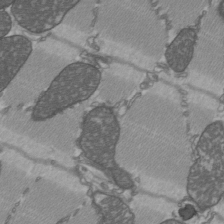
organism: C57BL Mouse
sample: Heart